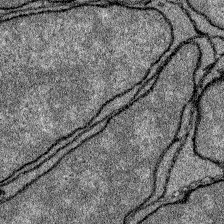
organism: Zebrafish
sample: Larval olfactory bulb